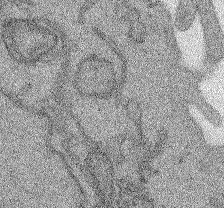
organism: Human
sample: HeLa cells